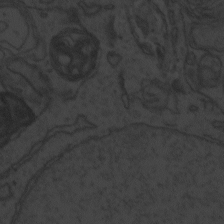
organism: Zebrafish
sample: Macrophage infected with Toxoplasma gondii